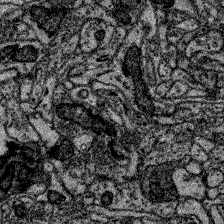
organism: Zebrafish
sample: Larval olfactory bulb